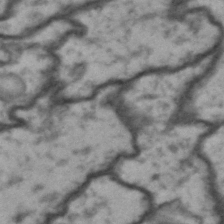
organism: Drosophila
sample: Brain